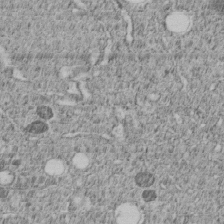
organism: C. elegans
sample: C. elegans embryo early stage